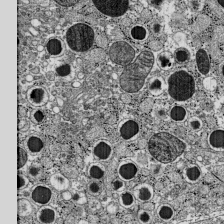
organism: C57BL Mouse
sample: Pancreatic islet